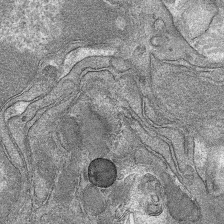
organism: Mouse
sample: Mouse hepatocytes